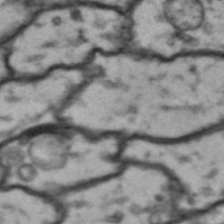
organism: Drosophila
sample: Brain